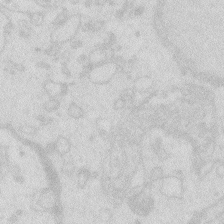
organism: Zebrafish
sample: Macrophage